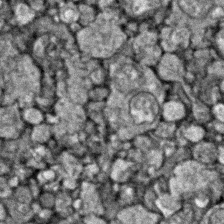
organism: Zebrafish